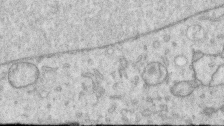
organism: Human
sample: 1205lu cells